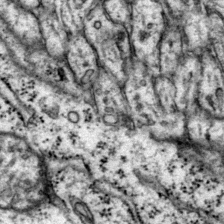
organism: Mouse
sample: Primary visual cortex